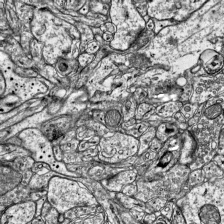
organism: Mouse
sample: Visual Cortex